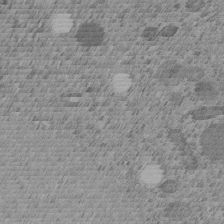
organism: C. elegans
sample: C. elegans embryo early stage